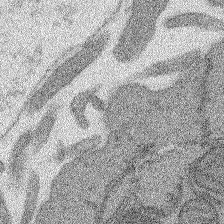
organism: Human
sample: HeLa cells